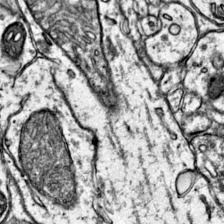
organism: Mouse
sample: Primary visual cortex